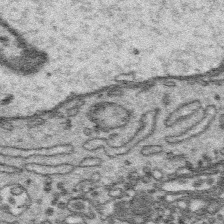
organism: Platynereis dumerilii